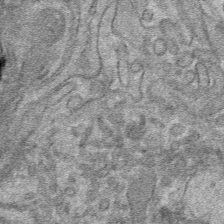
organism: Mouse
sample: Mouse hepatocytes